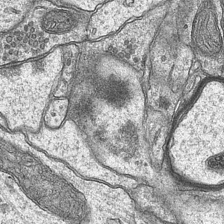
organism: Mouse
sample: CA1 Hippocampus